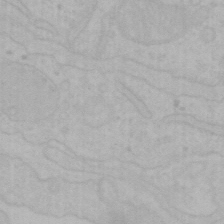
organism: Mouse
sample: Choroid plexus